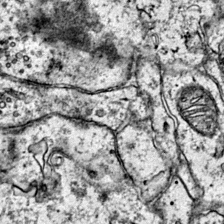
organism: Mouse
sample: Primary visual cortex